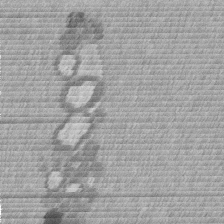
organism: Mouse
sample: Dividing mouse embryo 1 cell stage